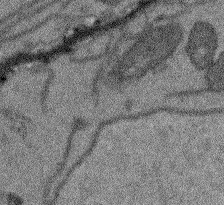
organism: Arabidopsis thaliana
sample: Root tip